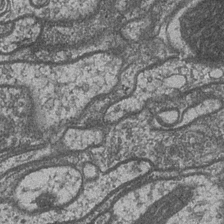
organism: Drosophila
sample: Optic medulla